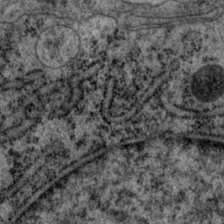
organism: P. pacificus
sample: Pharynx